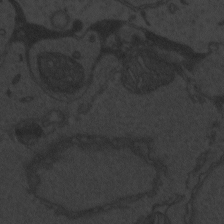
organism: Zebrafish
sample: Macrophage infected with Toxoplasma gondii